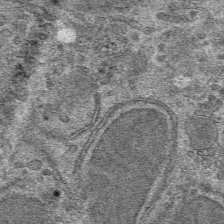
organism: Mouse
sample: Mouse hepatocytes